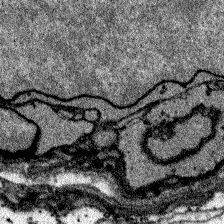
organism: Zebrafish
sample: Larval olfactory bulb